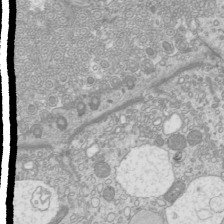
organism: Mouse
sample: Cilia; mouse epididymis